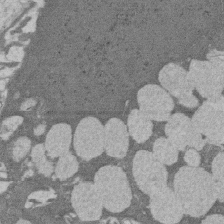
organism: Rat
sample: Salivary granule